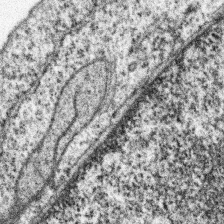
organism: Human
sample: HeLa cells